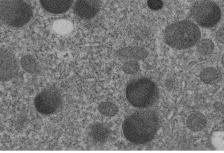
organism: C. elegans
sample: C. elegans embryo early stage